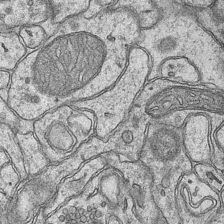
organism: Mouse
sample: CA1 Hippocampus